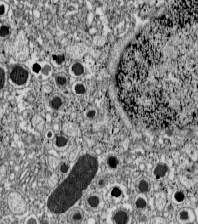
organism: C57BL Mouse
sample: Pancreatic islet